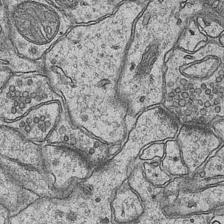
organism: Mouse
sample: CA1 Hippocampus